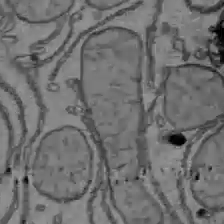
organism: C57BL Mouse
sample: Liver